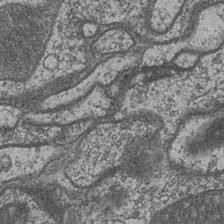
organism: Drosophila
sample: Optic medulla